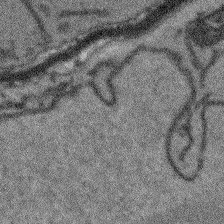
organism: Arabidopsis thaliana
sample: Root tip